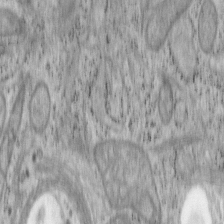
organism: Human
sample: HeLa cells